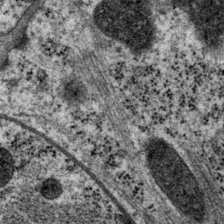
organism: P. pacificus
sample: Pharynx